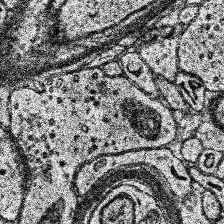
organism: Human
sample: Temporal Lobe